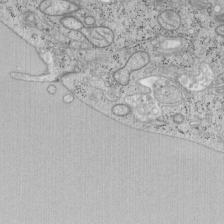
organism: Mouse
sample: OT-I killer T cells with ID8 ovarian cancer cells